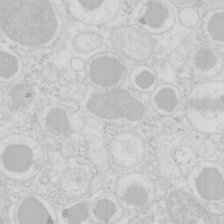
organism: Mouse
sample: Pancreas